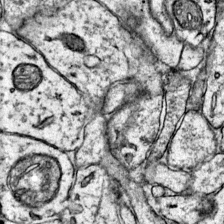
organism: Mouse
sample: Primary visual cortex